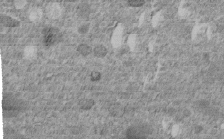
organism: C. elegans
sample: C. elegans embryo early stage